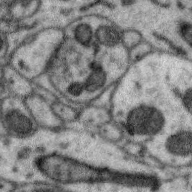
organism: Zebra finch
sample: Brain